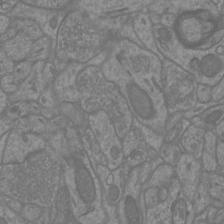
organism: Mouse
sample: Cortical neurons